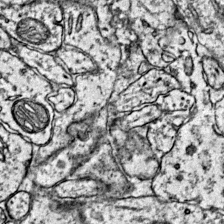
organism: Mouse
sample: Primary visual cortex